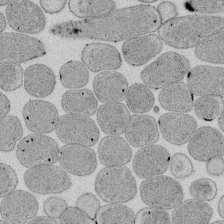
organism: E. coli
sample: Bacterial nucleoid